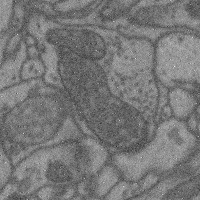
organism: Mouse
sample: Cerebral cortex